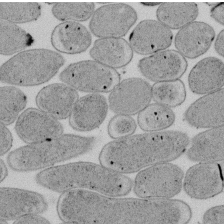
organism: E. coli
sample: Bacterial nucleoid